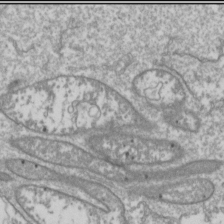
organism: Drosophila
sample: Cell division; meiosis; drosophila spermatocytes